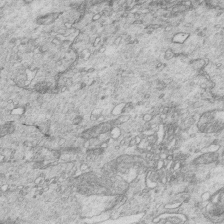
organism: Mouse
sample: Multiciliated cells